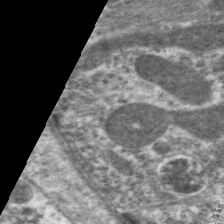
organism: C. elegans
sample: Pharynx